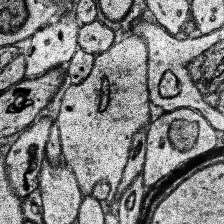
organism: Human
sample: Temporal Lobe